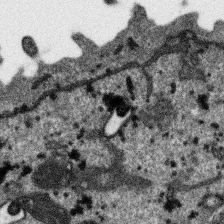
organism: Human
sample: Lung epithelial cells infected with SARS-CoV-2